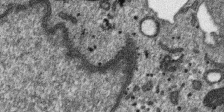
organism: Human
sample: Lung epithelial cells infected with SARS-CoV-2